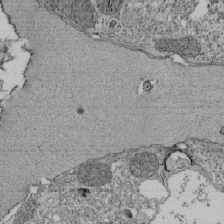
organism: Tetrahymena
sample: Cilia in tetrahymena